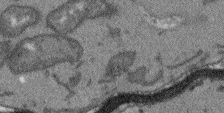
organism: Arabidopsis thaliana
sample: Root tip